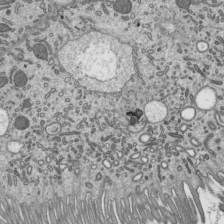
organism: Mouse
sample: Mouse epididymis efferent ductule cilia